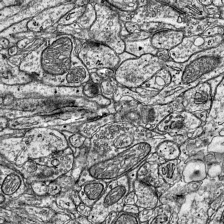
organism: Mouse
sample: Visual Cortex